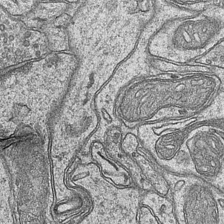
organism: Mouse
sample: CA1 Hippocampus